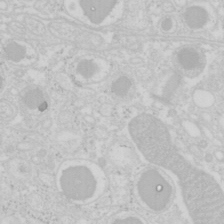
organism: Mouse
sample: Pancreas